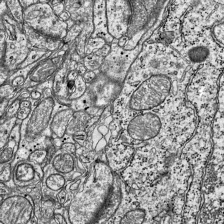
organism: Mouse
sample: Visual Cortex